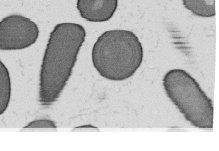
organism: B. subtilis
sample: Bacterial spore